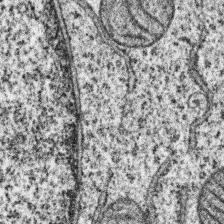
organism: Human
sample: HeLa cells